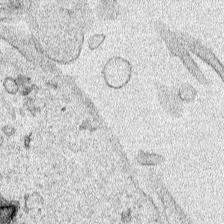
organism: Human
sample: Mitochondria in HCT116 cells